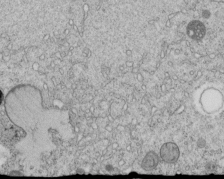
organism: C. elegans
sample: C. elegans embryo early stage